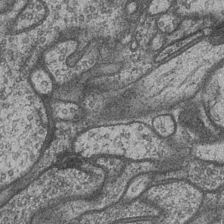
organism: Drosophila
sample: Optic medulla